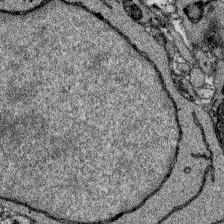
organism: Zebrafish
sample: Larval olfactory bulb